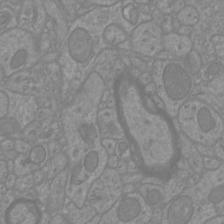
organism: Mouse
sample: Cortical neurons